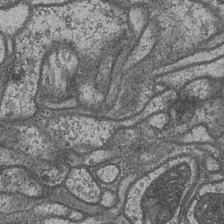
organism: Drosophila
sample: Optic medulla